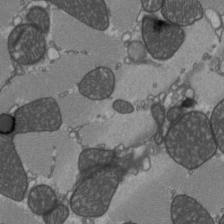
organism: C57BL Mouse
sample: Heart